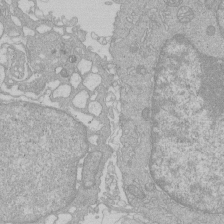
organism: Human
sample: Macrophage cells